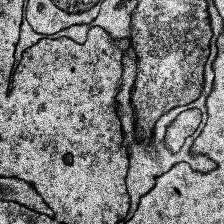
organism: Human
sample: Temporal Lobe